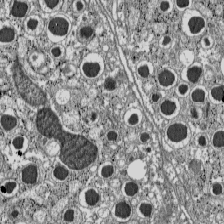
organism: C57BL Mouse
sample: Pancreatic islet